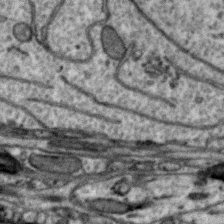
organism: Zebra finch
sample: Brain